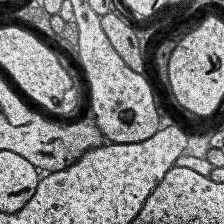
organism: Human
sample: Temporal Lobe